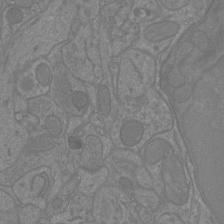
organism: Mouse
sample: Cortical neurons